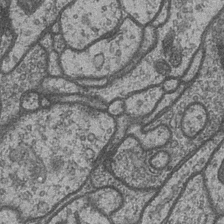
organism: Drosophila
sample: Optic medulla